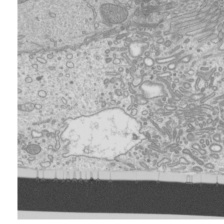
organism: Mouse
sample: Cilia; mouse epididymis